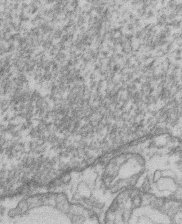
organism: Mouse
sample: T cell stromal cell synapse